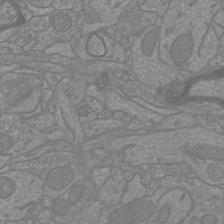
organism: Mouse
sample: Cortical neurons